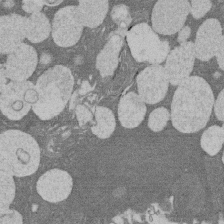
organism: Rat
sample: Salivary granule